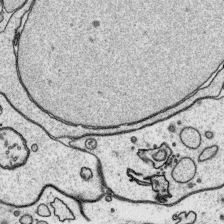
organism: Platynereis dumerilii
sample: Parapodia